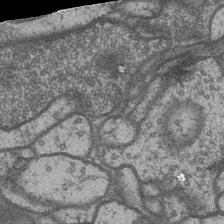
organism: Drosophila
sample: Optic medulla